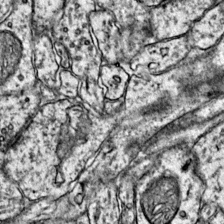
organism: Mouse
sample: Primary visual cortex